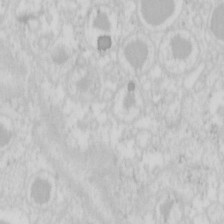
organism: Mouse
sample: Pancreas